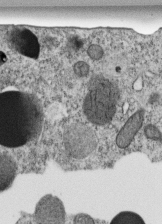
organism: C. elegans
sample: C. elegans embryo early stage